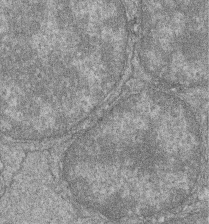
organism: Zebrafish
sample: Cilia; retinal pigment epithelium